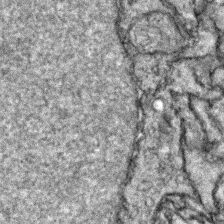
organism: Zebrafish